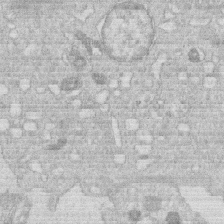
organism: Human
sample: Macrophage cells